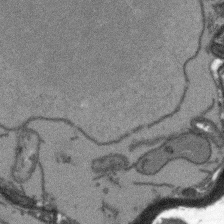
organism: Arabidopsis thaliana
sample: Root tip